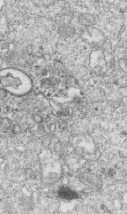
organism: Human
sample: HeLa cell HIV synapse